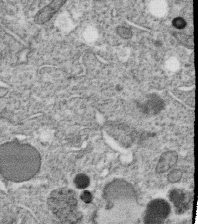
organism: C. elegans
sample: C. elegans oocyte; sperm cells